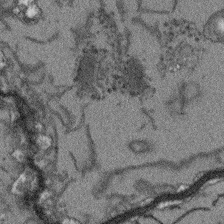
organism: Arabidopsis thaliana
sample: Root tip